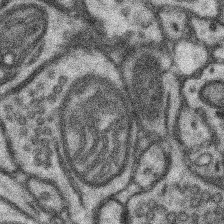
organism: Mouse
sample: Somatosensory cortex neuropil